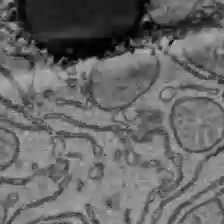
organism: C57BL Mouse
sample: Liver